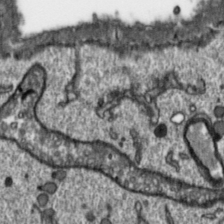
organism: Toxoplasma gondii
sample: Parasites in a vacuole inside a host cell